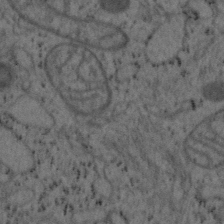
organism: Human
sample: HeLa cells